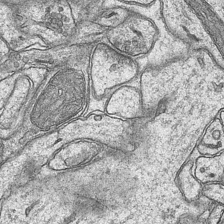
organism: Mouse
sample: CA1 Hippocampus